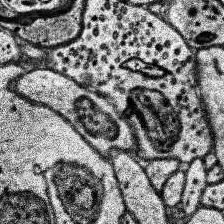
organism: Human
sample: Temporal Lobe